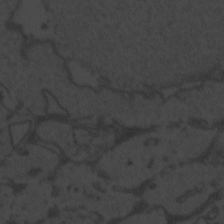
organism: Zebrafish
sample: Macrophage infected with Toxoplasma gondii